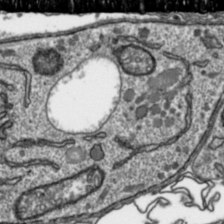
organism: Toxoplasma gondii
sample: Parasites in a vacuole inside a host cell